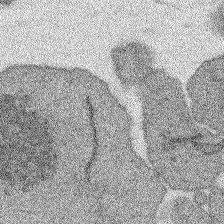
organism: Human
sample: HeLa cells